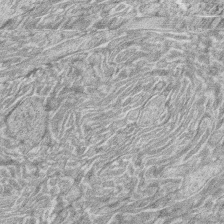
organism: Zebrafish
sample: synaptic ribbons in rod cells and cone cells